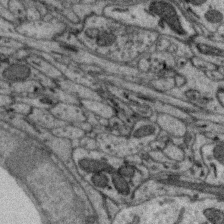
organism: Zebra finch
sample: Brain